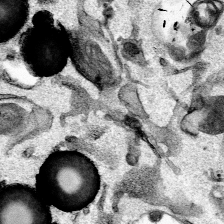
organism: Mouse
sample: Cancer cell death in ED-1 cells